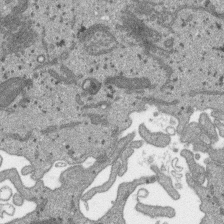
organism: Human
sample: Lung epithelial cells infected with SARS-CoV-2